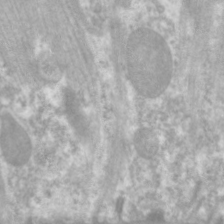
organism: C. elegans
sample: Pharynx